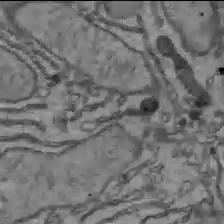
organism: C57BL Mouse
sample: Liver